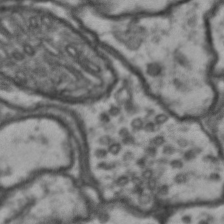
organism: Drosophila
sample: Brain